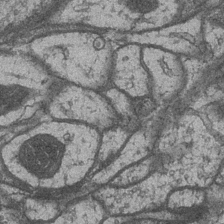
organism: Drosophila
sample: Optic medulla